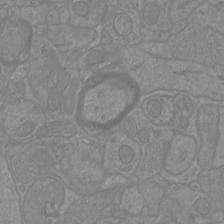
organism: Mouse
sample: Cortical neurons